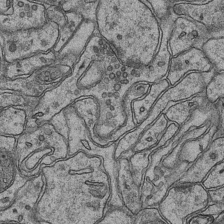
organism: Mouse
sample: CA1 Hippocampus